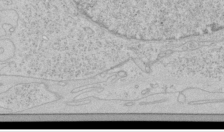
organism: Human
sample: Mitochondria in HCT116 cells